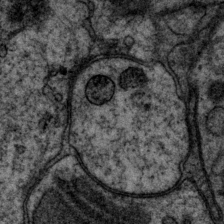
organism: P. pacificus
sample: Pharynx